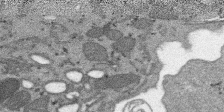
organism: Human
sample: Lung epithelial cells infected with SARS-CoV-2